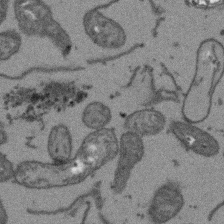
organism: Arabidopsis thaliana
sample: Root tip